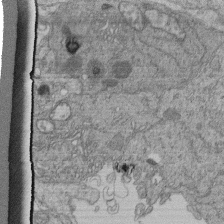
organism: Human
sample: Retinal organoid Rod and Cone cells